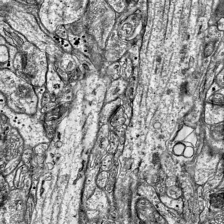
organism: Mouse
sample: Visual Cortex